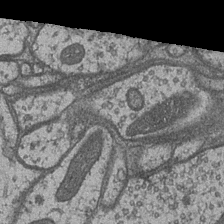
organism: Drosophila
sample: Optic medulla